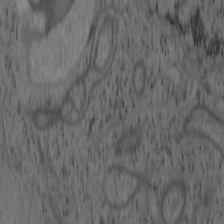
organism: Human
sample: HeLa cells